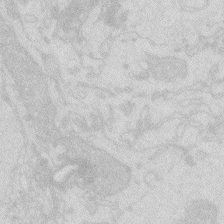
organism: Zebrafish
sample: Macrophage